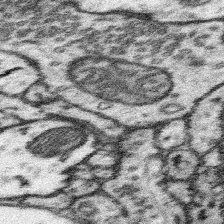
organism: Mouse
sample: Somatosensory cortex neuropil